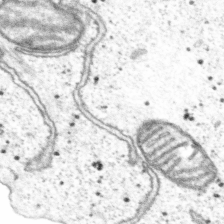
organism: Human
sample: HeLa cells